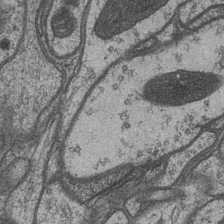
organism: Drosophila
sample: Optic medulla